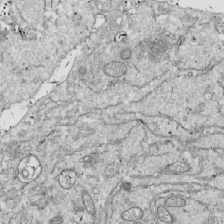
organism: Drosophila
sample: Cell division; meiosis; drosophila spermatocytes